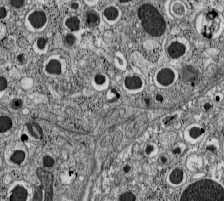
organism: C57BL Mouse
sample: Pancreatic islet